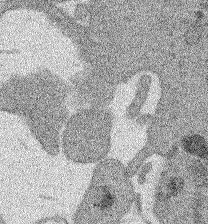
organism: Human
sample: HeLa cells